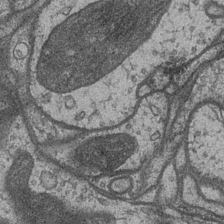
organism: Drosophila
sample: Optic medulla